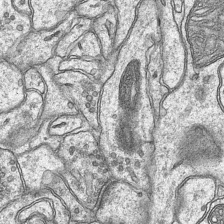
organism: Mouse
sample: CA1 Hippocampus